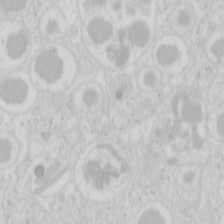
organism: Mouse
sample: Pancreas